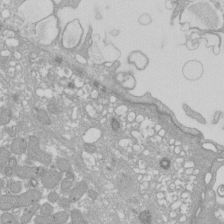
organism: Xenopus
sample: Cilia; centrioles in frog embryo cells